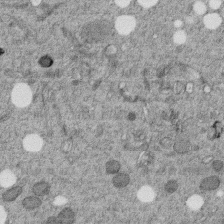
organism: C. elegans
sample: C. elegans embryo early stage